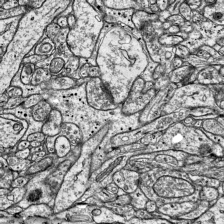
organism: Mouse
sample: Visual Cortex